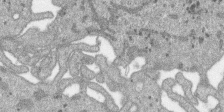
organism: Human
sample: Lung epithelial cells infected with SARS-CoV-2